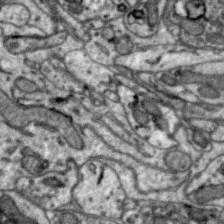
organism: Zebra finch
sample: Brain